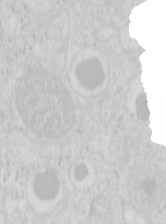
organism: Mouse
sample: Pancreas